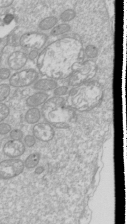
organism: Drosophila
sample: Cell division; meiosis; drosophila spermatocytes